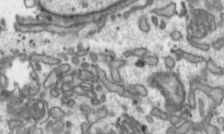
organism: Toxoplasma gondii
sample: Parasites in a vacuole inside a host cell